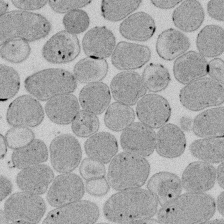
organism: E. coli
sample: Bacterial nucleoid